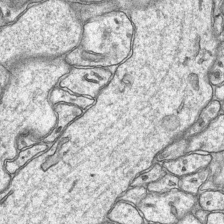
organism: Mouse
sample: CA1 Hippocampus